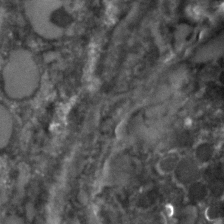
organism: C. elegans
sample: C. elegans embryo